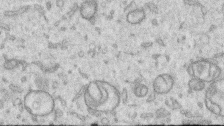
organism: Human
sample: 1205lu cells